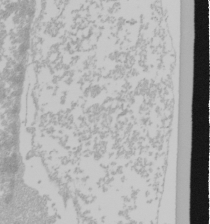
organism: Mouse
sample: Cancer cell death in ED-1 cells